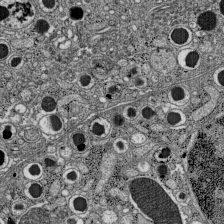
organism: C57BL Mouse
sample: Pancreatic islet